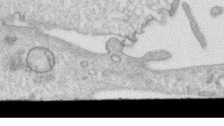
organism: Human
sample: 1205lu cells